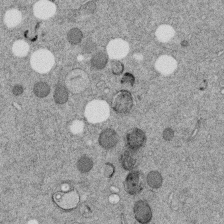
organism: C. elegans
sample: C. elegans embryo early stage